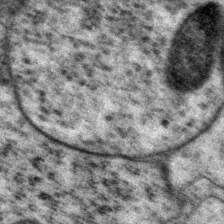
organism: P. pacificus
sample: Pharynx